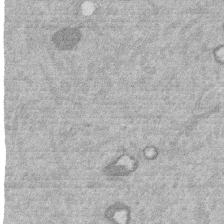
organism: Mouse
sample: Dividing mouse embryo 1 cell stage